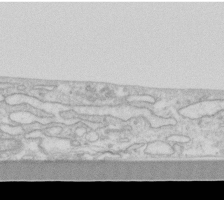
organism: Human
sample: Fibroblast cells